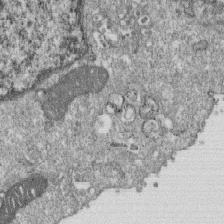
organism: African green monkey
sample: Vero E6 cells infected with SARS-CoV-2